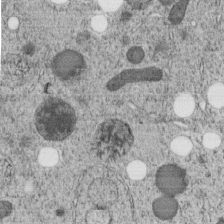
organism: C. elegans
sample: C. elegans embryo early stage